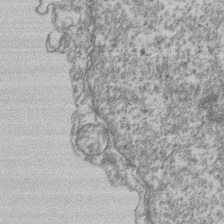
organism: Mouse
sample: T cell stromal cell synapse